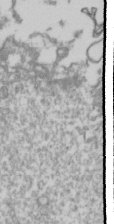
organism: Drosophila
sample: Cell division; meiosis; drosophila spermatocytes